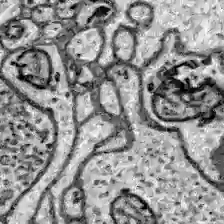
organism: Zebrafish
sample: Brain